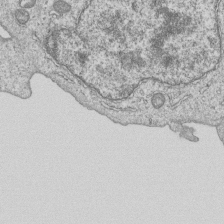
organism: Human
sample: MDA-MB-231 cells